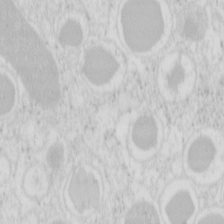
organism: Mouse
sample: Pancreas